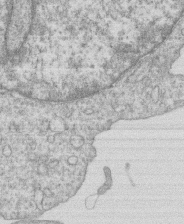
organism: Human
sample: Macrophage cells